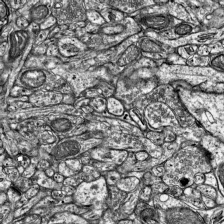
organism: Mouse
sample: Visual Cortex